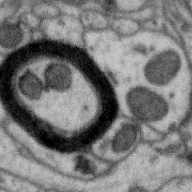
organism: Zebra finch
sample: Brain